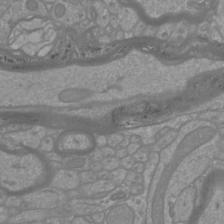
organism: Mouse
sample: Cortical neurons